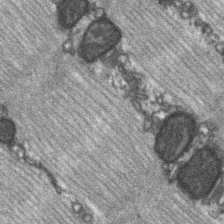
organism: C57BL Mouse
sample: Soleus